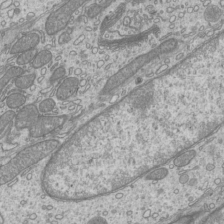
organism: Mouse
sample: Cilia; mouse epididymis